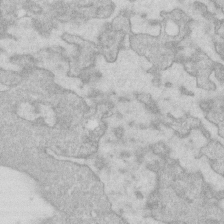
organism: Human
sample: Fibroblast cells